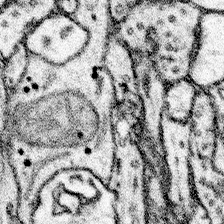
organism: Mouse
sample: Somatosensory cortex neuropil